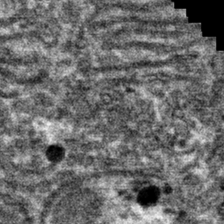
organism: Mouse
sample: Mouse hepatocytes